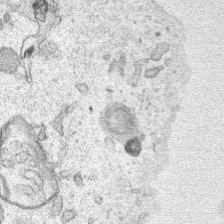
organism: Human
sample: Mitochondria in HCT116 cells